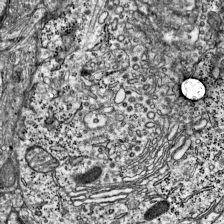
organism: Mouse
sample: Visual Cortex